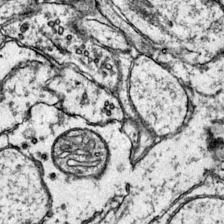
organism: Mouse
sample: Primary visual cortex